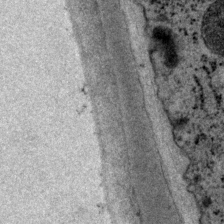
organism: P. pacificus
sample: Pharynx